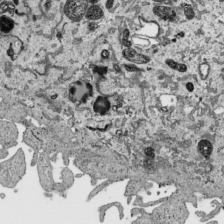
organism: Human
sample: Mitochondria in HCT116 cells